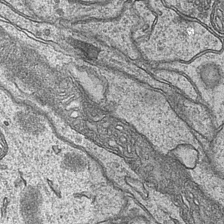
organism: Mouse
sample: CA1 Hippocampus